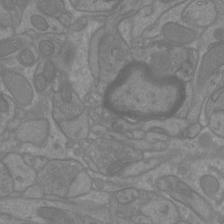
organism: Mouse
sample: Cortical neurons